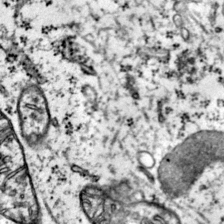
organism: Mouse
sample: Primary visual cortex